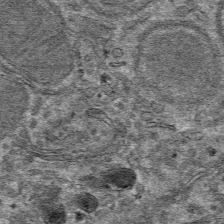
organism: Mouse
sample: Mouse hepatocytes